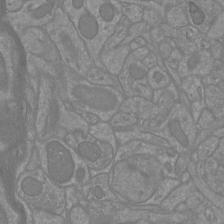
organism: Mouse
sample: Cortical neurons